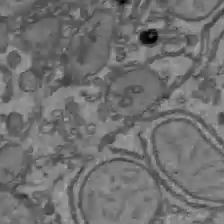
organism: C57BL Mouse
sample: Liver